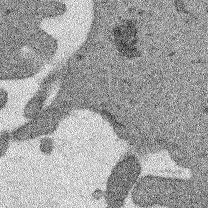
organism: Human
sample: HeLa cells